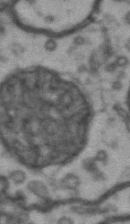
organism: Drosophila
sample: Brain